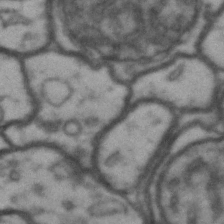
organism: Drosophila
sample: Brain